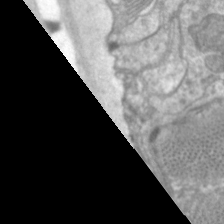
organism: C. elegans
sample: Pharynx